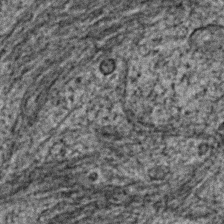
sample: Trachea